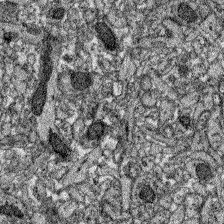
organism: Zebrafish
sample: Larval olfactory bulb